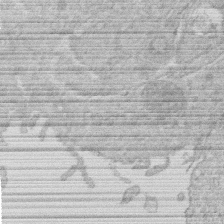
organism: Human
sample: Macrophage cells